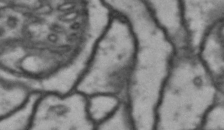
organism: Drosophila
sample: Brain